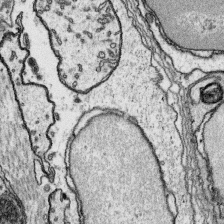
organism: Platynereis dumerilii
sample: Parapodia